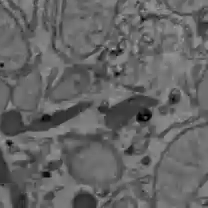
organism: C57BL Mouse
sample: Liver